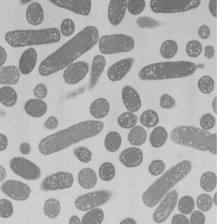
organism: E. coli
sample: Bacterial nucleoid